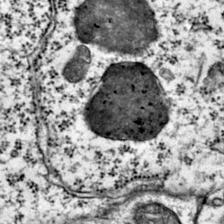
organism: Mouse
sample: Primary visual cortex